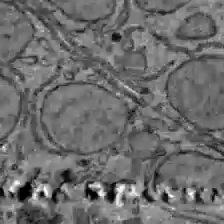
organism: C57BL Mouse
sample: Liver